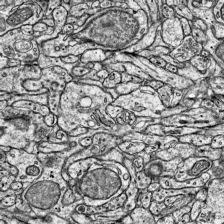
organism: Mouse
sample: Visual Cortex